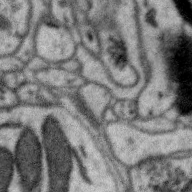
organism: Zebra finch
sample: Brain